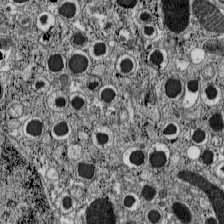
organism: C57BL Mouse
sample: Pancreatic islet